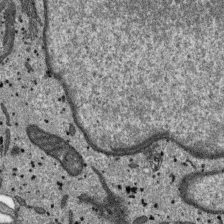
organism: Human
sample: Lung epithelial cells, uninfected (mock) control